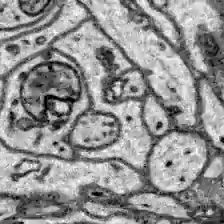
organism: Zebrafish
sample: Brain